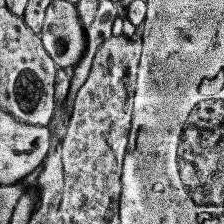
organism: Human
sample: Temporal Lobe